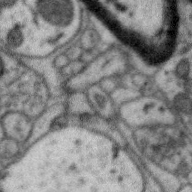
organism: Zebra finch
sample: Brain